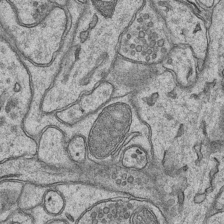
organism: Mouse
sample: CA1 Hippocampus